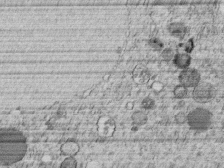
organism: C. elegans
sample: C. elegans embryo early stage